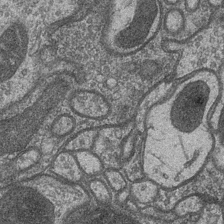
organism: Drosophila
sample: Optic medulla